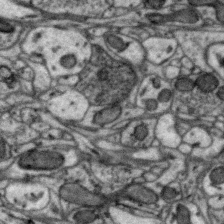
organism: Zebra finch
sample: Brain